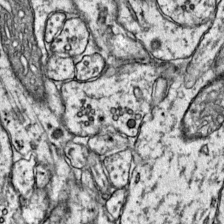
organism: Mouse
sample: Primary visual cortex